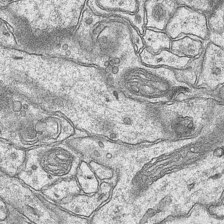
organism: Mouse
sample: CA1 Hippocampus